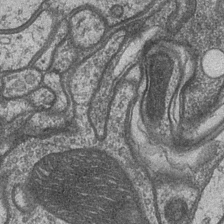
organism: Drosophila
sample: Optic medulla